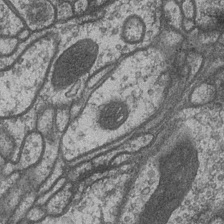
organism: Drosophila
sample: Optic medulla